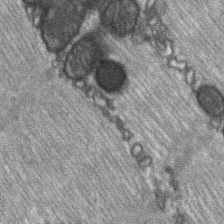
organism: C57BL Mouse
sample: Soleus